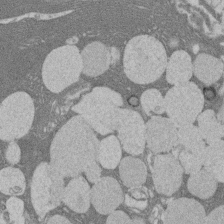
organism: Rat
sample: Salivary granule